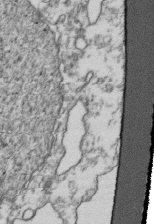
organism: Human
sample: Activated Jurkat CD4+ T cells